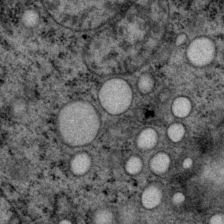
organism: P. pacificus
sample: Pharynx